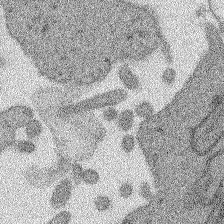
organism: Human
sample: HeLa cells